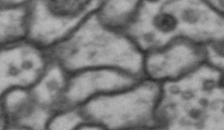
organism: Drosophila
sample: Brain